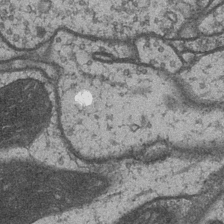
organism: Drosophila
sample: Optic medulla